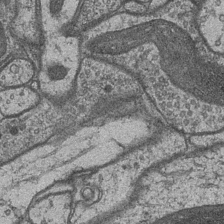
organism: Drosophila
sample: Optic medulla